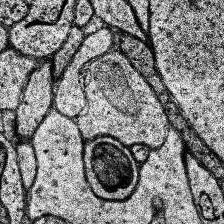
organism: Human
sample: Temporal Lobe